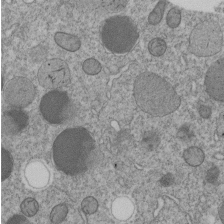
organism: C. elegans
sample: C. elegans embryo early stage